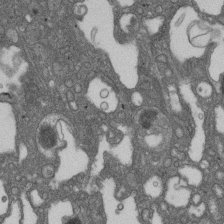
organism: Drosophila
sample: Nephrocyte